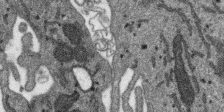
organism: Human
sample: Lung epithelial cells infected with SARS-CoV-2